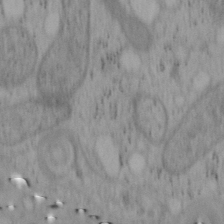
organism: Mouse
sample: OT-I killer T cells with ID8 ovarian cancer cells